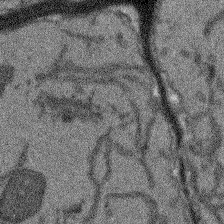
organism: Arabidopsis thaliana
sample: Root tip